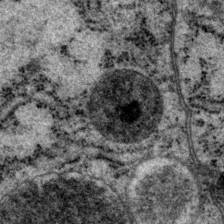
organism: P. pacificus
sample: Pharynx